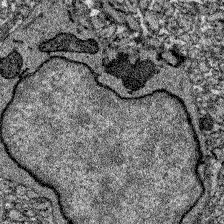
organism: Zebrafish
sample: Larval olfactory bulb